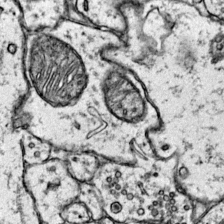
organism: Mouse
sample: Primary visual cortex